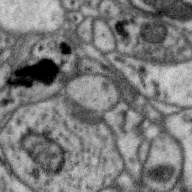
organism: Zebra finch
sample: Brain